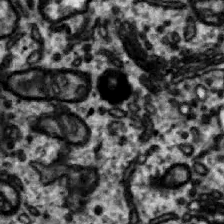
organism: Human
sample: HeLa cells